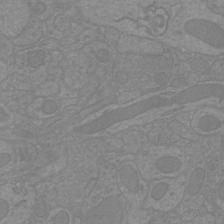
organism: Mouse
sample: Cortical neurons